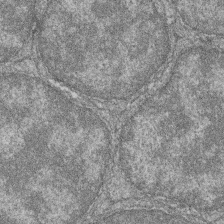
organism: Zebrafish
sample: Cilia; retinal pigment epithelium